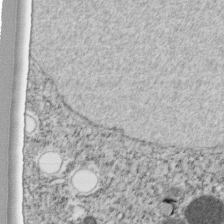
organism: C. elegans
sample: C. elegans embryo early stage